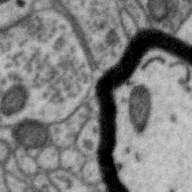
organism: Zebra finch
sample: Brain